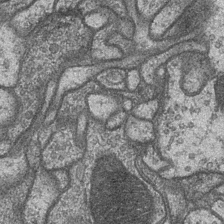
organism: Drosophila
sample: Optic medulla